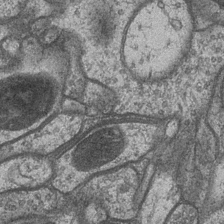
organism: Drosophila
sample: Optic medulla